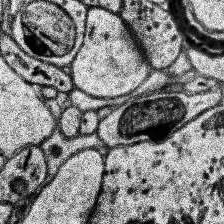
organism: Human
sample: Temporal Lobe